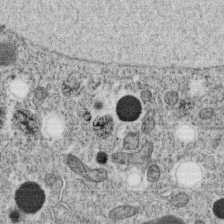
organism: C. elegans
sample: C. elegans oocyte; sperm cells